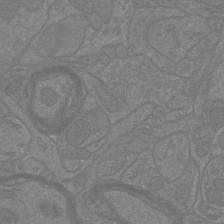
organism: Mouse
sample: Cortical neurons